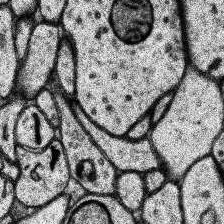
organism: Human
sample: Temporal Lobe